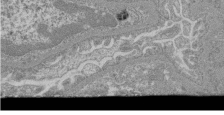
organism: Mouse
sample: Glomerulus